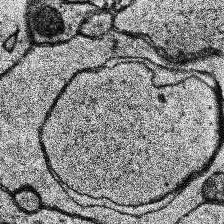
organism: Human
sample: Temporal Lobe